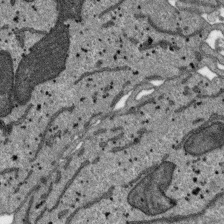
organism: Human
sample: Lung epithelial cells, uninfected (mock) control